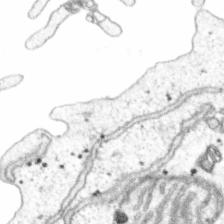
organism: Human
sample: HeLa cells